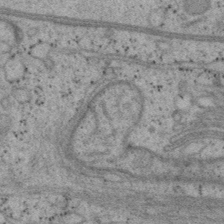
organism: Human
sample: HeLa cells